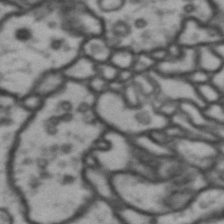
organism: Drosophila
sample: Brain